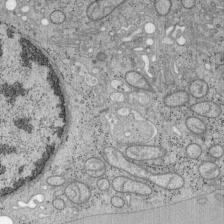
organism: Mouse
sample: OT-I killer T cells with ID8 ovarian cancer cells